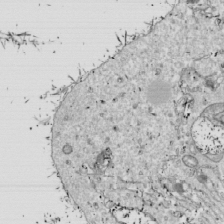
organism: Drosophila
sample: Cell division; meiosis; drosophila spermatocytes